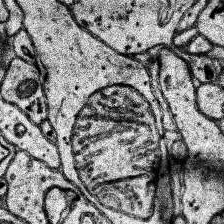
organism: Human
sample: Temporal Lobe